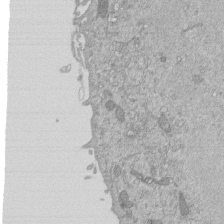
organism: Mouse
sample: ED-1 cell nuclei; centrioles